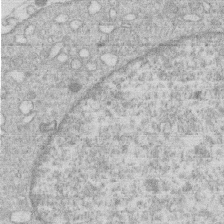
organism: Human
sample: Macrophage cells